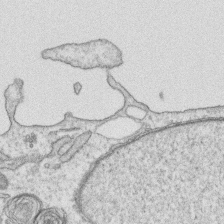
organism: Human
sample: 1205lu cells